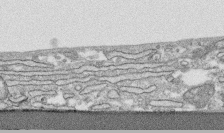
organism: Human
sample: CRL-1474